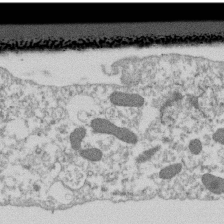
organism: Dictyostelium discoideum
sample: Dictyostelium multivesicular bodies